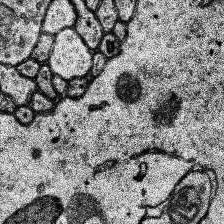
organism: Human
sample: Temporal Lobe